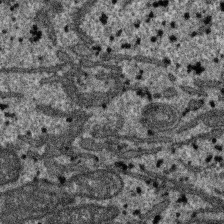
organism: Human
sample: Lung epithelial cells infected with SARS-CoV-2